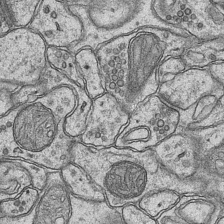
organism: Mouse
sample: CA1 Hippocampus